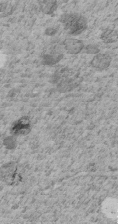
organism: C. elegans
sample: C. elegans embryo early stage